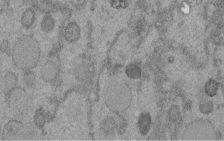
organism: C. elegans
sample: C. elegans embryo early stage